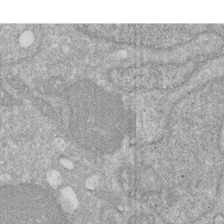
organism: Human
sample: HIV infected U937 cells